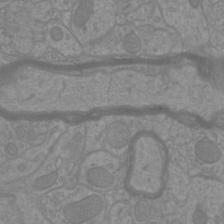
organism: Mouse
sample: Cortical neurons